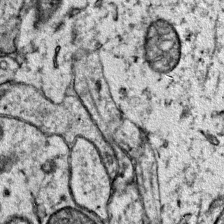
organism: Mouse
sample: Primary visual cortex